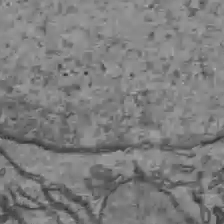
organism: C57BL Mouse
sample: Liver